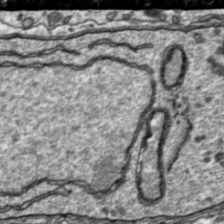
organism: Toxoplasma gondii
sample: Parasites in a vacuole inside a host cell